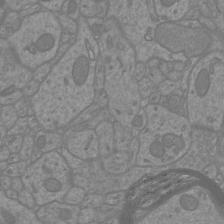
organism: Mouse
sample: Cortical neurons